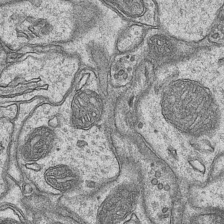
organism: Mouse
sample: CA1 Hippocampus